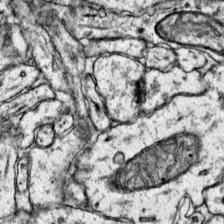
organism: Mouse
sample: Primary visual cortex